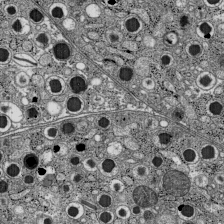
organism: C57BL Mouse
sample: Pancreatic islet